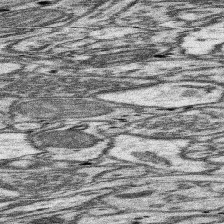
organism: Mouse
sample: Somatosensory cortex neuropil